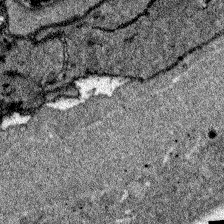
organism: Zebrafish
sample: Larval olfactory bulb